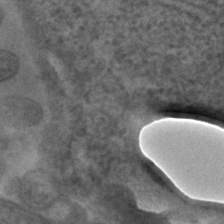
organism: C. elegans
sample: C. elegans embryo